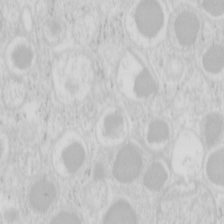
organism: Mouse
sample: Pancreas